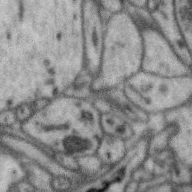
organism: Zebra finch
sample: Brain